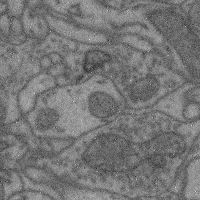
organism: Mouse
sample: Cerebral cortex